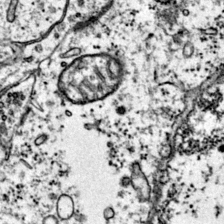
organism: Mouse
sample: Primary visual cortex